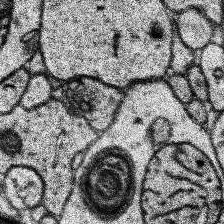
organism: Human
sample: Temporal Lobe